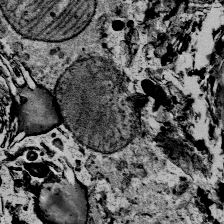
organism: Mouse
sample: Mouse Salivary gland